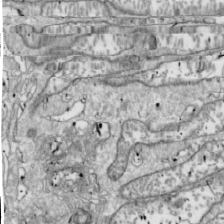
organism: Drosophila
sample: Cell division; meiosis; drosophila spermatocytes